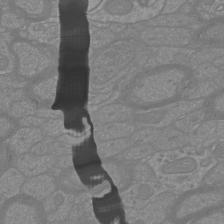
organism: Mouse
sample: Cortical neurons